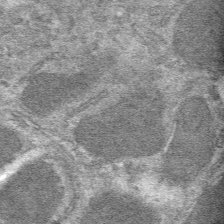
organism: Mouse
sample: Mouse hepatocytes